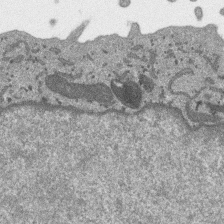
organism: Human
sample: Lung epithelial cells infected with SARS-CoV-2